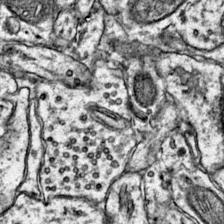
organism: Mouse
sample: Primary visual cortex